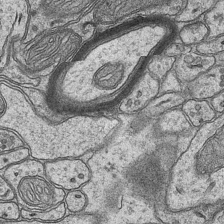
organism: Mouse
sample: CA1 Hippocampus